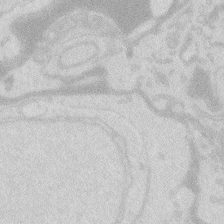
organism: Zebrafish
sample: Macrophage